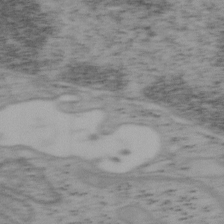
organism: Mouse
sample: OT-I killer T cells with ID8 ovarian cancer cells